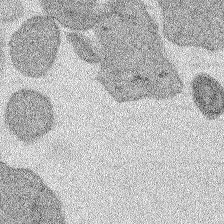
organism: Human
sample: HeLa cells